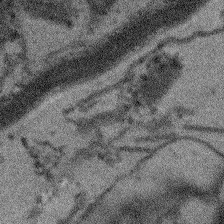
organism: Arabidopsis thaliana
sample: Root tip